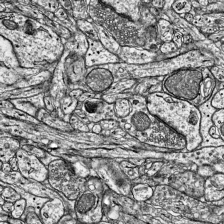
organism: Mouse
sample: Visual Cortex